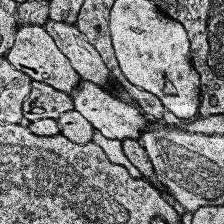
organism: Human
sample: Temporal Lobe